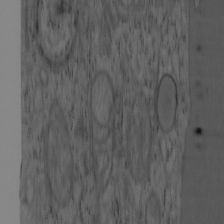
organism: Human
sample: HeLa cells